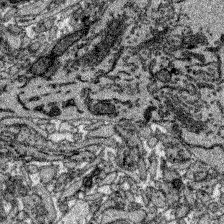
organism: Zebrafish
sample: Larval olfactory bulb